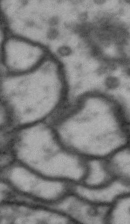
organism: Drosophila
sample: Brain